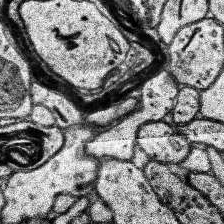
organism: Human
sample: Temporal Lobe